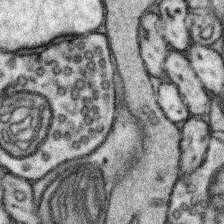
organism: Mouse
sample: Somatosensory cortex neuropil